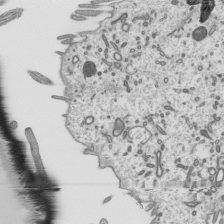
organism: Mouse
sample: Mouse epididymis efferent ductule cilia